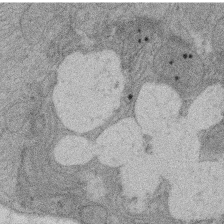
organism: Rat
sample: Salivary granule